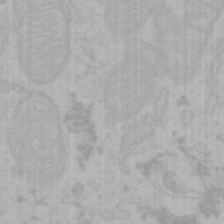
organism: Mouse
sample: Choroid plexus